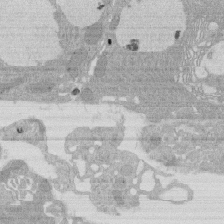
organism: Rat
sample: Salivary granule